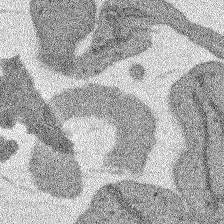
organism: Human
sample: HeLa cells